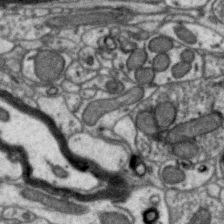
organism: Zebra finch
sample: Brain